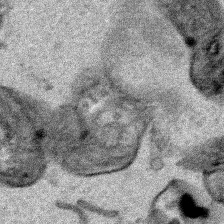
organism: Human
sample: Mitochondria in HCT116 cells